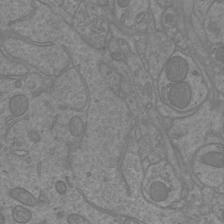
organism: Mouse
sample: Cortical neurons